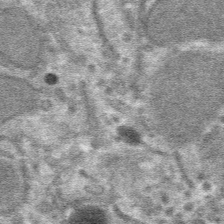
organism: Mouse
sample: Mouse hepatocytes